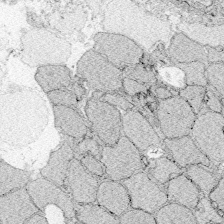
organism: Zebrafish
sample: Whole-Brain